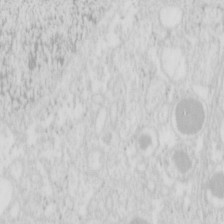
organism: Mouse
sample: Pancreas